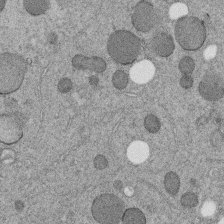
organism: C. elegans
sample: C. elegans embryo early stage